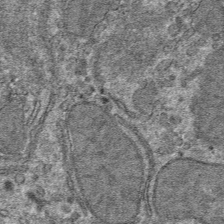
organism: Mouse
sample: Mouse hepatocytes